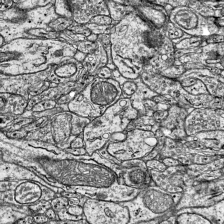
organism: Mouse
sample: Visual Cortex